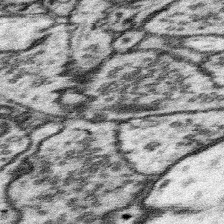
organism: Mouse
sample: Somatosensory cortex neuropil